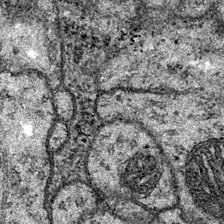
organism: Drosophila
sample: Ventral Nerve Cord